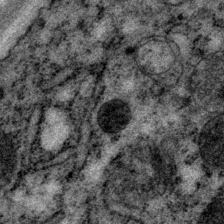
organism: P. pacificus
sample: Pharynx